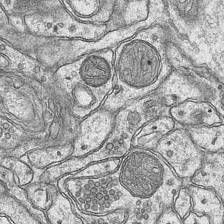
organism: Mouse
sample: CA1 Hippocampus